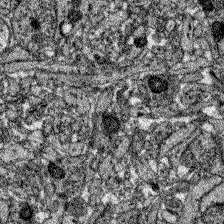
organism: Zebrafish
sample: Larval olfactory bulb